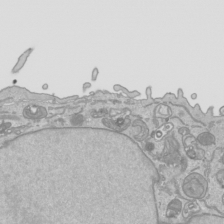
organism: Human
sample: Mitochondria in HCT116 cells